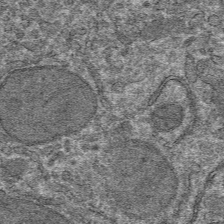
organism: Mouse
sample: Mouse hepatocytes